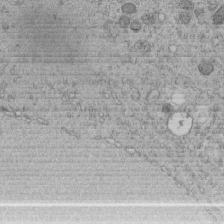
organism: C. elegans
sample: C. elegans embryo early stage